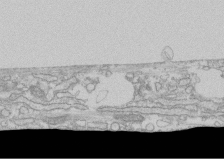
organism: Human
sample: CRL-1474